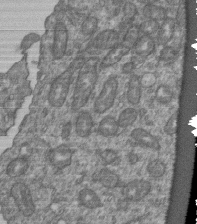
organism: Human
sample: Retinal organoid Rod and Cone cells